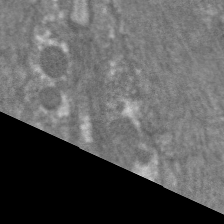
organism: C. elegans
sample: Pharynx